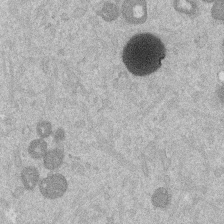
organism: Mouse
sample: Dividing mouse embryo 1 cell stage